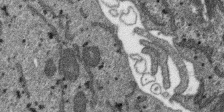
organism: Human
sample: Lung epithelial cells infected with SARS-CoV-2